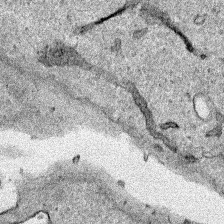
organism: Human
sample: Mitochondria in HCT116 cells